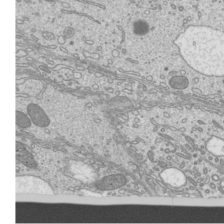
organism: Mouse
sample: Cilia; mouse epididymis